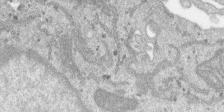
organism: Human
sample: Lung epithelial cells infected with SARS-CoV-2